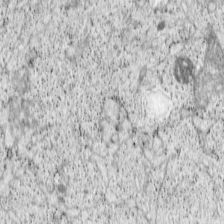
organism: African green monkey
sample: COS-7 cells